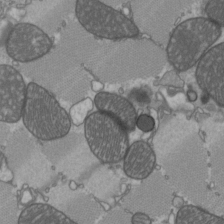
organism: C57BL Mouse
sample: Heart